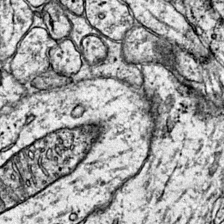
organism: Mouse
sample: Primary visual cortex